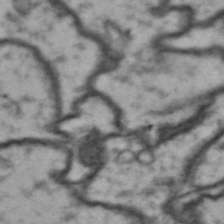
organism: Drosophila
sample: Brain